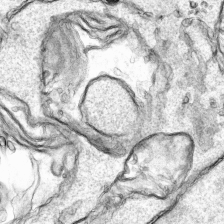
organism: Human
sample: Mitochondria in HCT116 cells